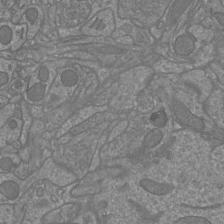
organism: Mouse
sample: Cortical neurons